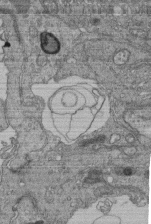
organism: Human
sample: Retinal organoid Rod and Cone cells